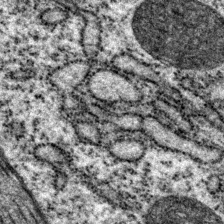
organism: P. pacificus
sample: Pharynx